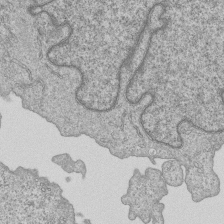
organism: Human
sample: MDA-MB-231 cells